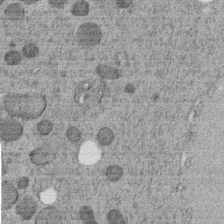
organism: C. elegans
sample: C. elegans embryo early stage